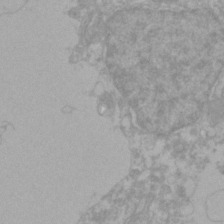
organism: Zebrafish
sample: Zebrafish embryo